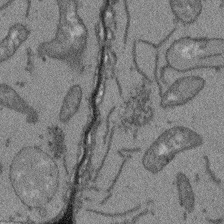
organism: Arabidopsis thaliana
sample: Root tip